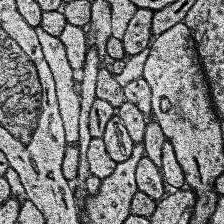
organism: Human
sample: Temporal Lobe